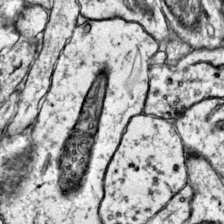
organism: Mouse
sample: Primary visual cortex